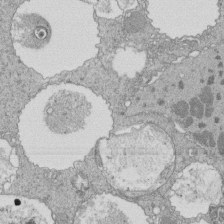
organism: Tetrahymena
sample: Cilia in tetrahymena